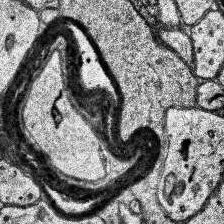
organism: Human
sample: Temporal Lobe